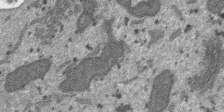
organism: Human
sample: Lung epithelial cells infected with SARS-CoV-2